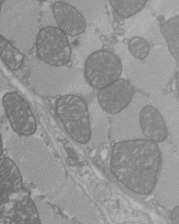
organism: C57BL Mouse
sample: Heart